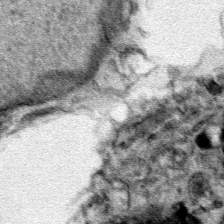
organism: Human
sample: Mitochondria in HCT116 cells